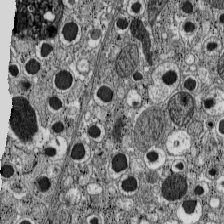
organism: C57BL Mouse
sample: Pancreatic islet